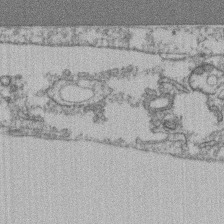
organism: Mouse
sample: T cell stromal cell synapse